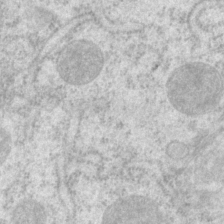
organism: P. pacificus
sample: Pharynx